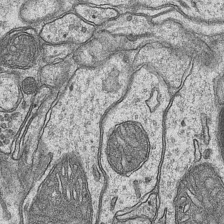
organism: Mouse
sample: CA1 Hippocampus